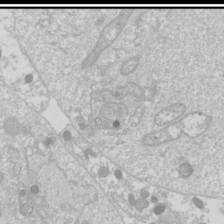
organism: Drosophila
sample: Cell division; meiosis; drosophila spermatocytes